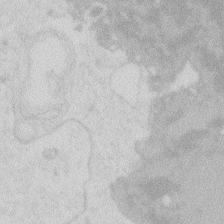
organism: Zebrafish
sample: Macrophage